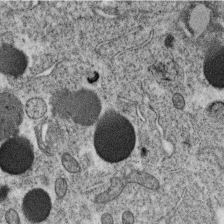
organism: C. elegans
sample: C. elegans oocyte; sperm cells